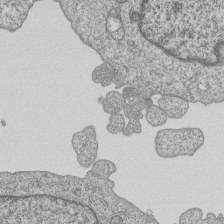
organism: Human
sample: MDA-MB-231 cells